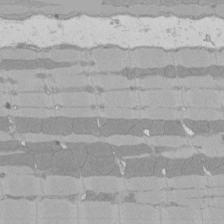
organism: Rat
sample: Left ventricle